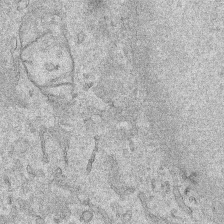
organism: Human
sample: Mitochondria in HCT116 cells